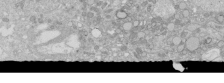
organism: Human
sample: Caco-2 cells